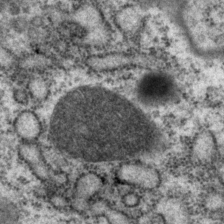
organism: P. pacificus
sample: Pharynx